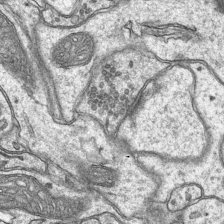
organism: Mouse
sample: CA1 Hippocampus